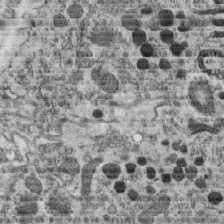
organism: C. elegans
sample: C. elegans oocyte; sperm cells